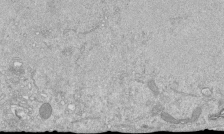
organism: Mouse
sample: ED-1 cell nuclei; centrioles